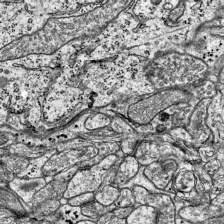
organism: Mouse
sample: Visual Cortex